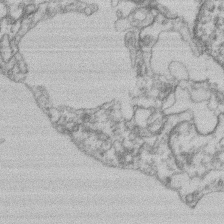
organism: Mouse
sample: T cell stromal cell synapse